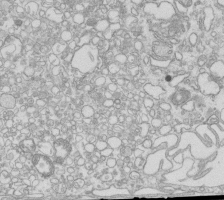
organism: Mouse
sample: Macrophages